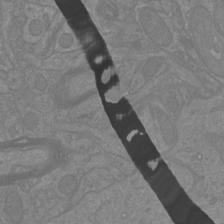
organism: Mouse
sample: Cortical neurons